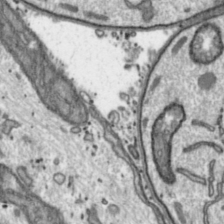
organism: Toxoplasma gondii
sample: Parasites in a vacuole inside a host cell